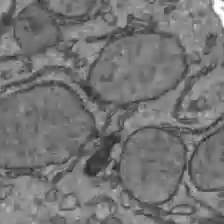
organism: C57BL Mouse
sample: Liver